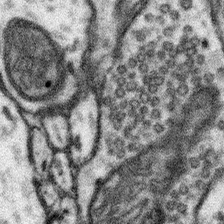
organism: Mouse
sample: Somatosensory cortex neuropil